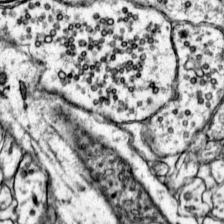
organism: Mouse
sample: Primary visual cortex